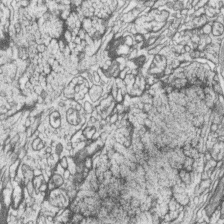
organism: Zebrafish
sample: synaptic ribbons in rod cells and cone cells